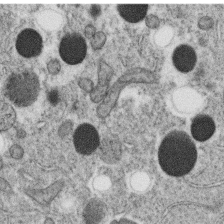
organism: C. elegans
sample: C. elegans oocyte; sperm cells